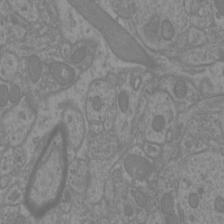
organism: Mouse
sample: Cortical neurons